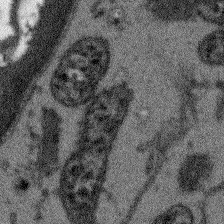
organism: Arabidopsis thaliana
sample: Root tip